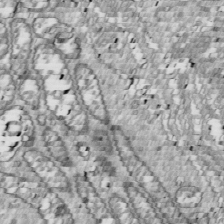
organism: Drosophila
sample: Cell division; meiosis; drosophila spermatocytes